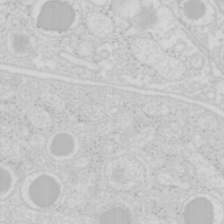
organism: Mouse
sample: Pancreas